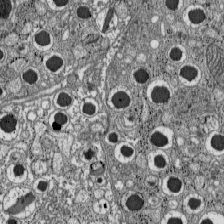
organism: C57BL Mouse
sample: Pancreatic islet